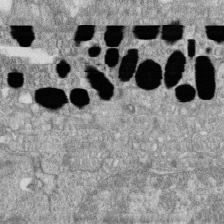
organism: Zebrafish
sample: Cilia; retinal pigment epithelium